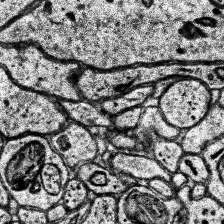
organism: Human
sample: Temporal Lobe